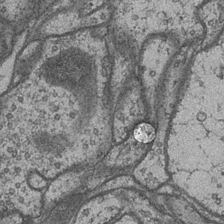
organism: Drosophila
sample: Optic medulla